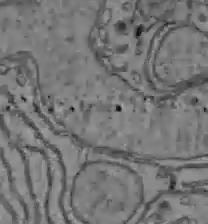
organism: C57BL Mouse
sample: Liver